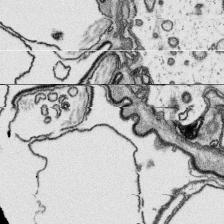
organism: Platynereis dumerilii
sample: Parapodia